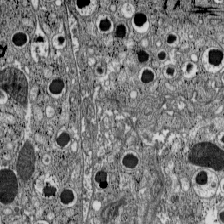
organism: C57BL Mouse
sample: Pancreatic islet